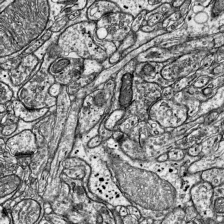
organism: Mouse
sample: Visual Cortex